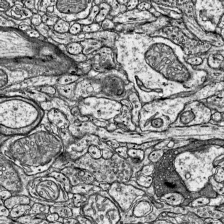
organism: Mouse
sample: Visual Cortex